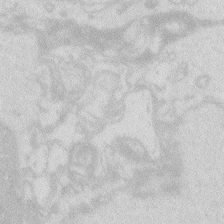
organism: Zebrafish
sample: Macrophage